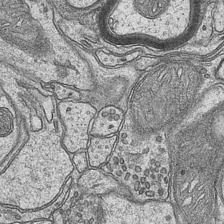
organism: Mouse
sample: CA1 Hippocampus